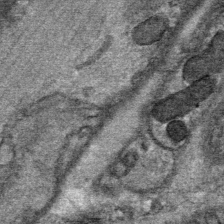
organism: Mouse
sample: Mouse Salivary gland